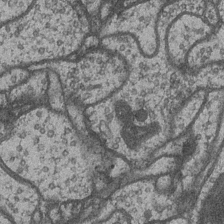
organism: Drosophila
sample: Optic medulla